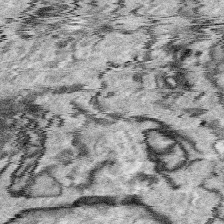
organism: Human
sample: HeLa cells